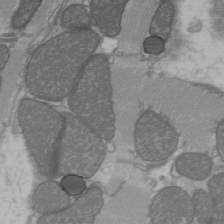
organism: C57BL Mouse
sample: Heart